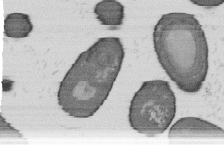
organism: B. subtilis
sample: Bacterial spore